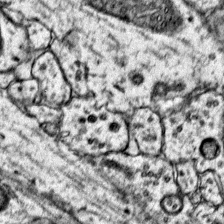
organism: Mouse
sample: Primary visual cortex